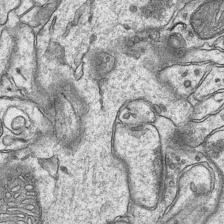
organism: Mouse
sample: CA1 Hippocampus